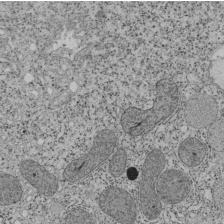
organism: Tetrahymena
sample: Cilia in tetrahymena